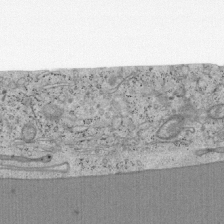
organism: Human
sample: HeLa cells